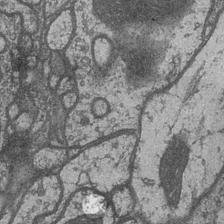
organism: Drosophila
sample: Optic medulla